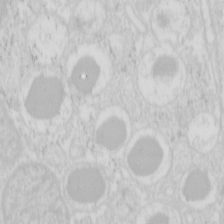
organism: Mouse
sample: Pancreas